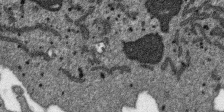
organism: Human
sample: Lung epithelial cells infected with SARS-CoV-2